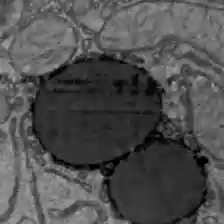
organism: C57BL Mouse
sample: Liver